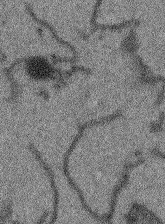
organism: Arabidopsis thaliana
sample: Root tip